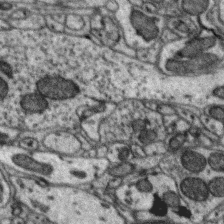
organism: Zebra finch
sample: Brain